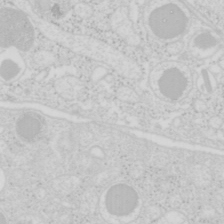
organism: Mouse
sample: Pancreas